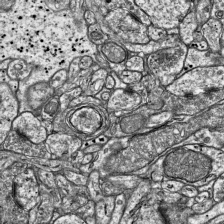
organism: Mouse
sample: Visual Cortex